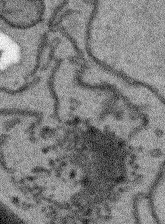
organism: Arabidopsis thaliana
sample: Root tip